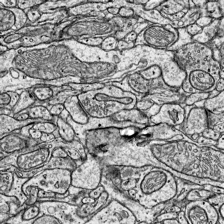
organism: Mouse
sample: Visual Cortex